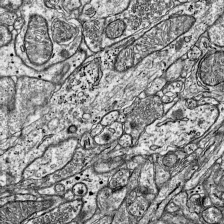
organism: Mouse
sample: Visual Cortex